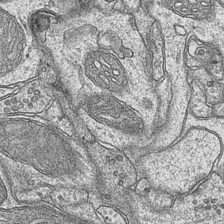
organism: Mouse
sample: CA1 Hippocampus